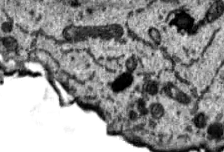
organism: Human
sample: HeLa cells